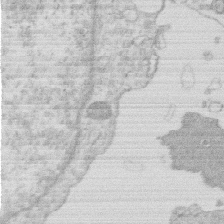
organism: Human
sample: Macrophage cells